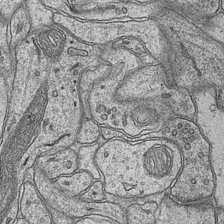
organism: Mouse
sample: CA1 Hippocampus